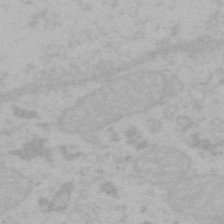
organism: Mouse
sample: Choroid plexus